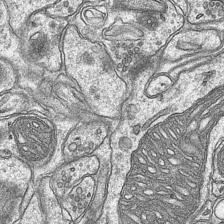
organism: Mouse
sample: CA1 Hippocampus